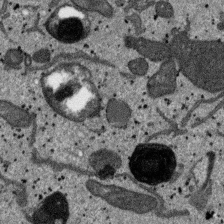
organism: Human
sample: Lung epithelial cells, uninfected (mock) control